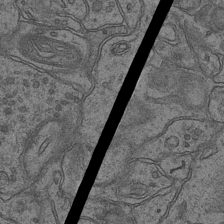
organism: Mouse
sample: CA1 Hippocampus